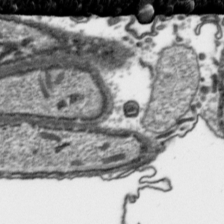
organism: Toxoplasma gondii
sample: Parasites in a vacuole inside a host cell